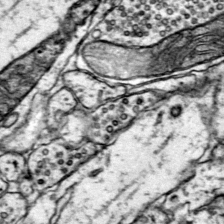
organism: Mouse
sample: Primary visual cortex